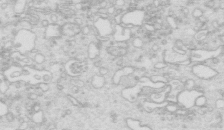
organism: Mouse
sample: Multiciliated cells